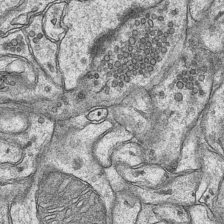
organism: Mouse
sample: CA1 Hippocampus